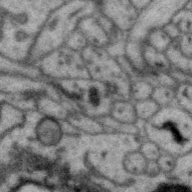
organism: Zebra finch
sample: Brain